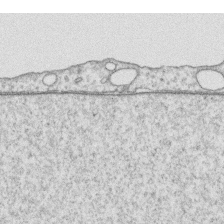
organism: Human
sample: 1205lu cells